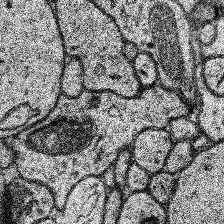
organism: Human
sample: Temporal Lobe